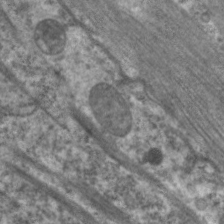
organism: C. elegans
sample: Pharynx